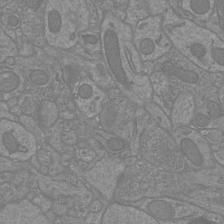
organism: Mouse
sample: Cortical neurons